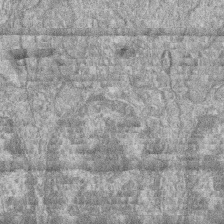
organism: Zebrafish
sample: Cilia; retinal pigment epithelium